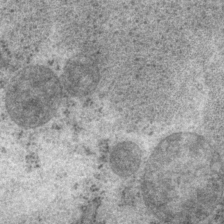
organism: P. pacificus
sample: Pharynx